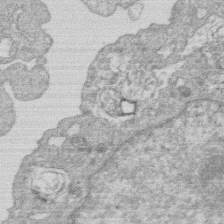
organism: Human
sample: Macrophage cells